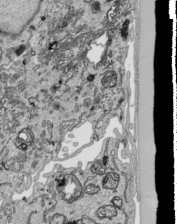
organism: Human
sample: Mitochondria in HCT116 cells